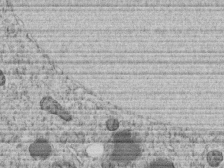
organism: C. elegans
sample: C. elegans embryo early stage